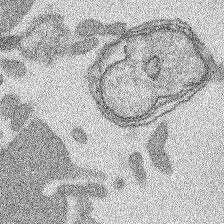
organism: Human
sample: HeLa cells